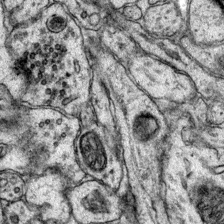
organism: Mouse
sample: Primary visual cortex